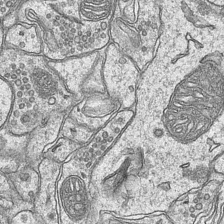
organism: Mouse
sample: CA1 Hippocampus